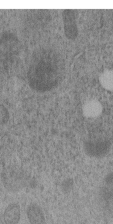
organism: C. elegans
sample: C. elegans embryo early stage